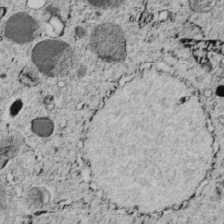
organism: C. elegans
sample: C. elegans embryo early stage